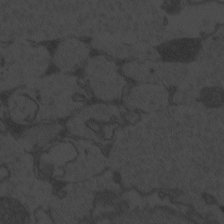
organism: Zebrafish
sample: Macrophage infected with Toxoplasma gondii